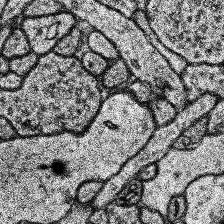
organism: Human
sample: Temporal Lobe